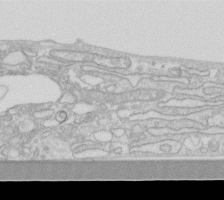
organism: Human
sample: Fibroblast cells